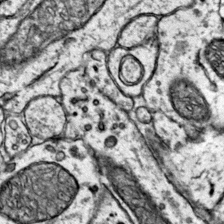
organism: Mouse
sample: Primary visual cortex